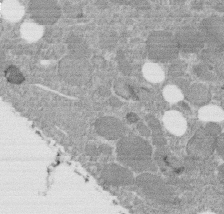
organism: C. elegans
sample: C. elegans embryo early stage